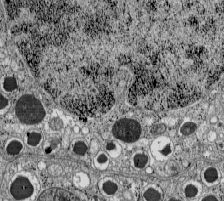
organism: C57BL Mouse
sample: Pancreatic islet